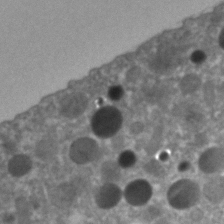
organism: C. elegans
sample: C. elegans embryo